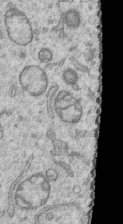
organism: Human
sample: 1205lu cells